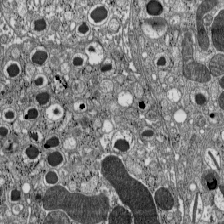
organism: C57BL Mouse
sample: Pancreatic islet